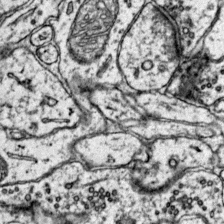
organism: Mouse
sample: Primary visual cortex